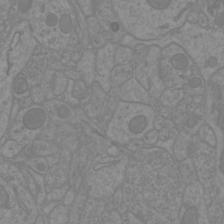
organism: Mouse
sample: Cortical neurons